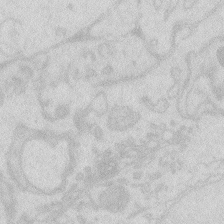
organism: Zebrafish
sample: Macrophage